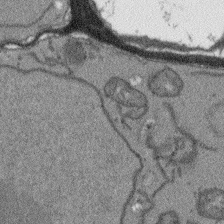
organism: Arabidopsis thaliana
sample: Root tip